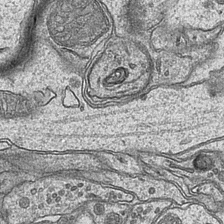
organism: Mouse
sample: CA1 Hippocampus